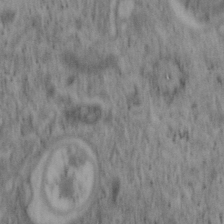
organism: Mouse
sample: OT-I killer T cells with ID8 ovarian cancer cells